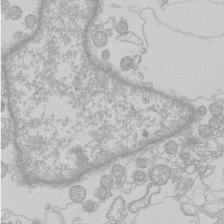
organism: Human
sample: Macrophage cells